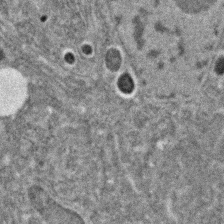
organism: C. elegans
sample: C. elegans embryo